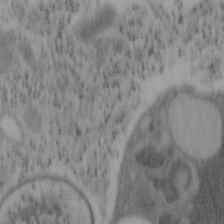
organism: Mouse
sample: OT-I killer T cells with ID8 ovarian cancer cells